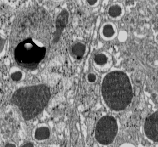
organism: C57BL Mouse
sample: Pancreatic islet